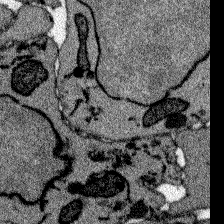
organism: Zebrafish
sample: Larval olfactory bulb